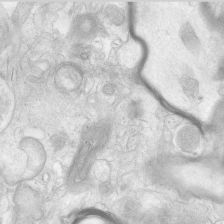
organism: Human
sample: Neocortex